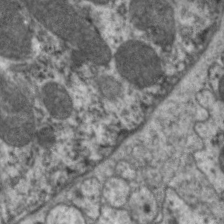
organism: C. elegans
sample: Pharynx